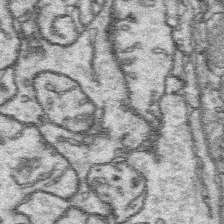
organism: Platynereis dumerilii